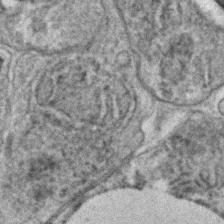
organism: C. elegans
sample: C. elegans embryo